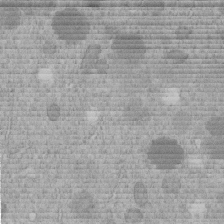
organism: C. elegans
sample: C. elegans embryo early stage